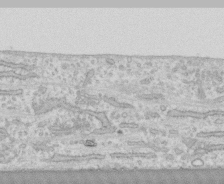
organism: Human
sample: CRL-1474